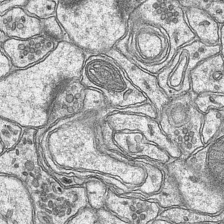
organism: Mouse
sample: CA1 Hippocampus